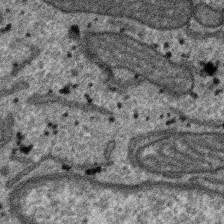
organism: Human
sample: Lung epithelial cells infected with SARS-CoV-2